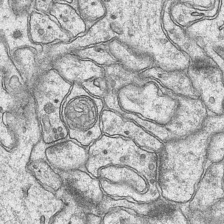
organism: Mouse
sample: CA1 Hippocampus